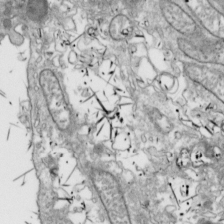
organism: Drosophila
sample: Cell division; meiosis; drosophila spermatocytes